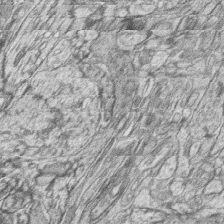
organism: Zebrafish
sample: synaptic ribbons in rod cells and cone cells